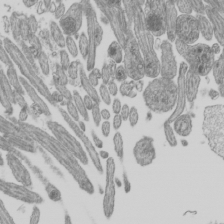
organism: Mouse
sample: Cilia; mouse epididymis